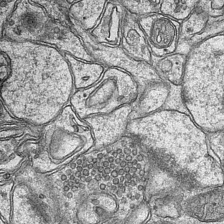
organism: Mouse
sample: CA1 Hippocampus